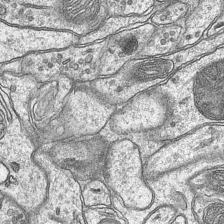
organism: Mouse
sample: CA1 Hippocampus